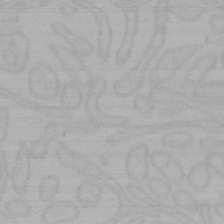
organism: Mouse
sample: Choroid plexus